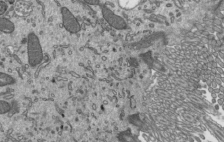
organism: Mouse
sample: Mouse epididymis efferent ductule cilia